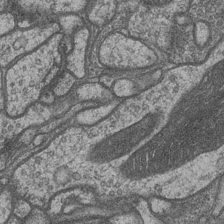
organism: Drosophila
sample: Optic medulla